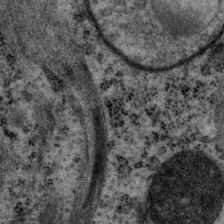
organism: P. pacificus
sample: Pharynx